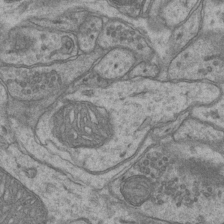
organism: Mouse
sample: CA1 Hippocampus